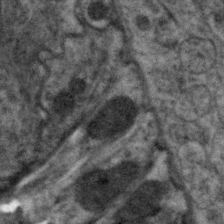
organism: C. elegans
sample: Pharynx